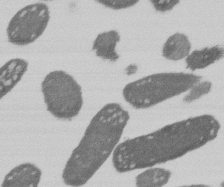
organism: E. coli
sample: Bacterial nucleoid